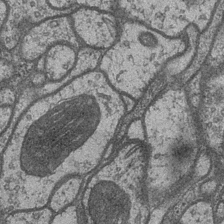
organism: Drosophila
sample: Optic medulla